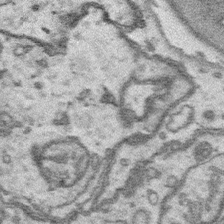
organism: Platynereis dumerilii